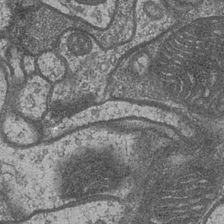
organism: Drosophila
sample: Optic medulla